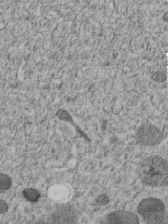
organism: C. elegans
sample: C. elegans embryo early stage